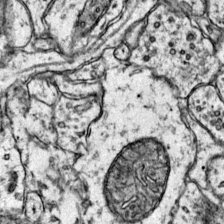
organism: Mouse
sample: Primary visual cortex